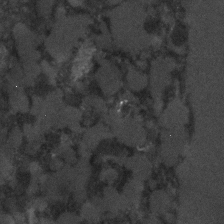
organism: C. elegans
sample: C. elegans embryo